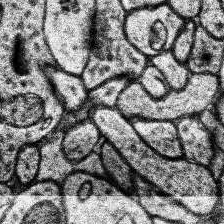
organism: Human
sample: Temporal Lobe